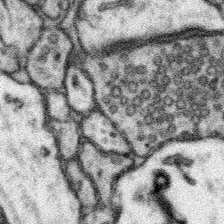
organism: Mouse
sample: Somatosensory cortex neuropil